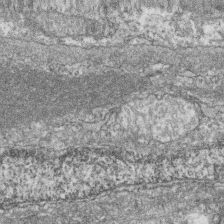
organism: Zebrafish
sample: Cilia; retinal pigment epithelium